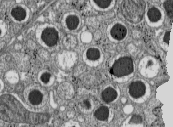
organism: C57BL Mouse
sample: Pancreatic islet